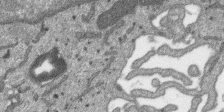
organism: Human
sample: Lung epithelial cells infected with SARS-CoV-2